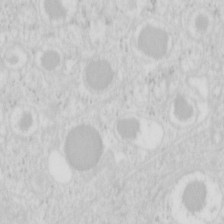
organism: Mouse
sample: Pancreas